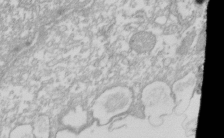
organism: Xenopus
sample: Cilia; centrioles in frog embryo cells